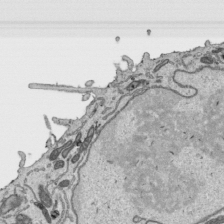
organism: Human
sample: Mitochondria in HCT116 cells